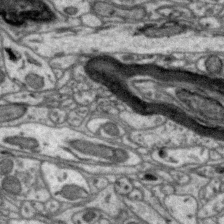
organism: Zebra finch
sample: Brain